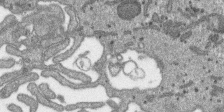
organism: Human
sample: Lung epithelial cells infected with SARS-CoV-2